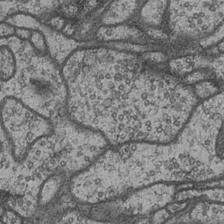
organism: Drosophila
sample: Optic medulla